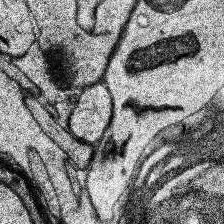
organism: Human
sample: Temporal Lobe